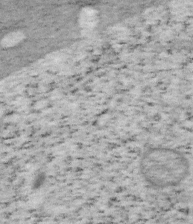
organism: Mouse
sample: OT-I killer T cells with ID8 ovarian cancer cells